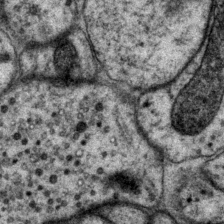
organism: P. pacificus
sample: Pharynx